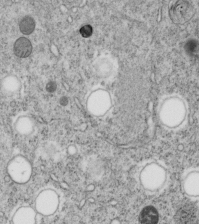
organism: C. elegans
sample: C. elegans embryo early stage